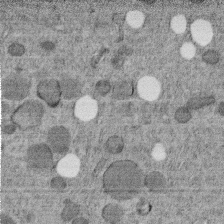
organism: C. elegans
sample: C. elegans embryo early stage